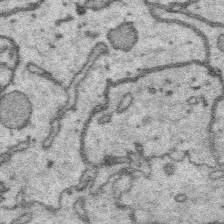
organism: Platynereis dumerilii